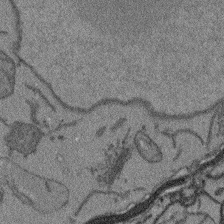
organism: Arabidopsis thaliana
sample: Root tip